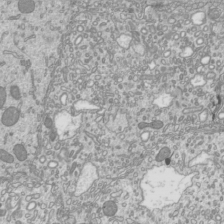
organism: Mouse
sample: Cilia; mouse epididymis